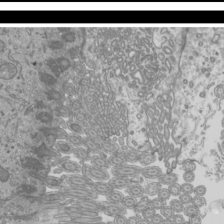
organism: Mouse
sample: Cilia; mouse epididymis